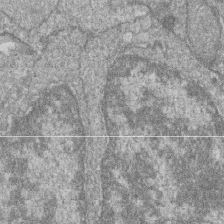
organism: Zebrafish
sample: Cilia; retinal pigment epithelium